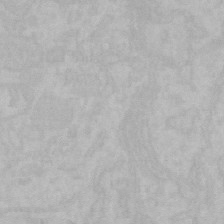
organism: Mouse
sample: Choroid plexus